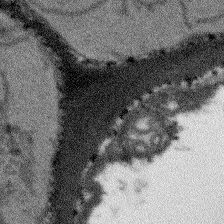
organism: Arabidopsis thaliana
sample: Root tip